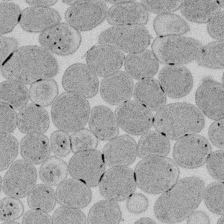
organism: E. coli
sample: Bacterial nucleoid